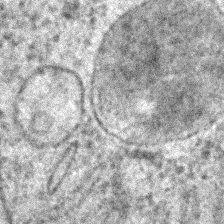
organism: C. elegans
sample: C. elegans embryo